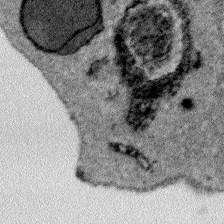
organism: Plasmodium falciparum